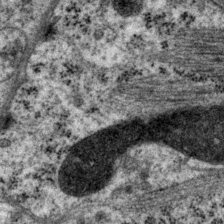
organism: P. pacificus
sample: Pharynx